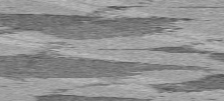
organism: C57BL Mouse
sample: Heart